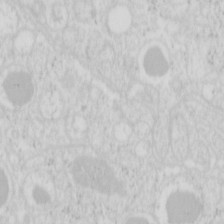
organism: Mouse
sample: Pancreas